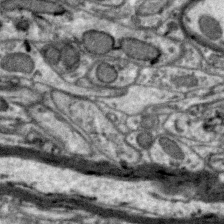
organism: Zebra finch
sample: Brain